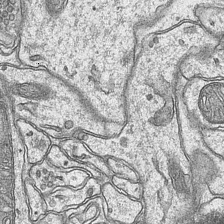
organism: Mouse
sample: CA1 Hippocampus